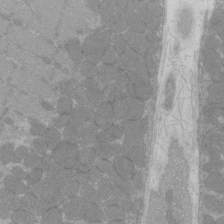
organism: C57BL Mouse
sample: Tibialis anterior muscle cell